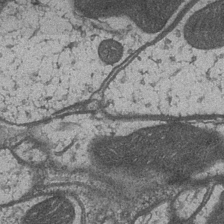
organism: Drosophila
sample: Optic medulla